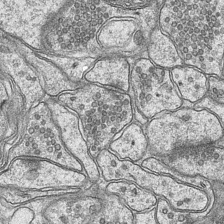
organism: Mouse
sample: CA1 Hippocampus